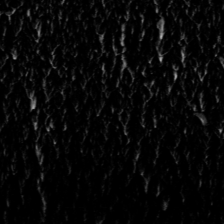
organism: Toxoplasma gondii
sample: Parasites in a vacuole inside a host cell